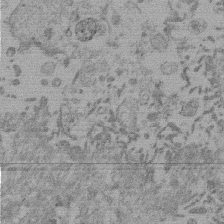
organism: Mouse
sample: Dividing mouse embryo 1 cell stage